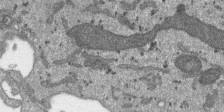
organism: Human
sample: Lung epithelial cells infected with SARS-CoV-2